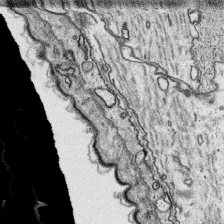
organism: Platynereis dumerilii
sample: Parapodia